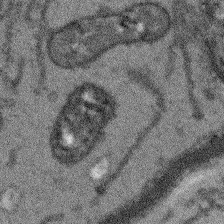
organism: Arabidopsis thaliana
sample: Root tip